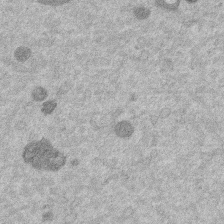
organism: Mouse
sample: Dividing mouse embryo 1 cell stage